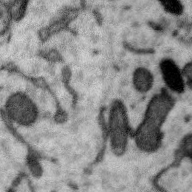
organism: Zebra finch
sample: Brain